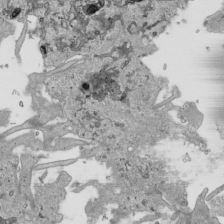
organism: Human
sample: Mitochondria in HCT116 cells